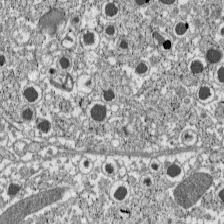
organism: C57BL Mouse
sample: Pancreatic islet